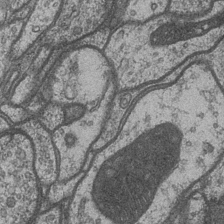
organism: Drosophila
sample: Optic medulla